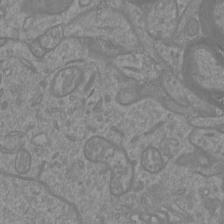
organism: Mouse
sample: Cortical neurons